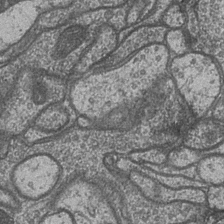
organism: Drosophila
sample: Optic medulla